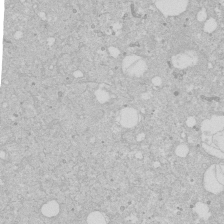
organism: Human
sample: Caco-2 cells